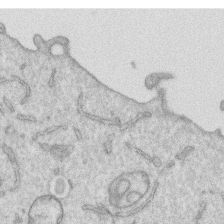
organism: Human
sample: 1205lu cells